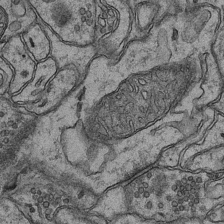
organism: Mouse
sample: CA1 Hippocampus